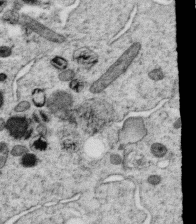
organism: C. elegans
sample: C. elegans oocyte; sperm cells